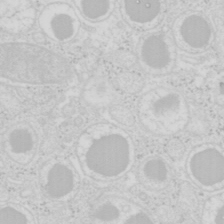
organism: Mouse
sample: Pancreas